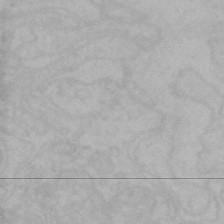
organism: Mouse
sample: Choroid plexus